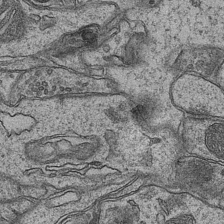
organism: Mouse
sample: CA1 Hippocampus